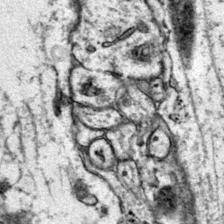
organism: Mouse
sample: Primary visual cortex